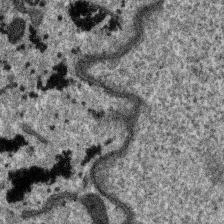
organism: Human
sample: Lung epithelial cells infected with SARS-CoV-2